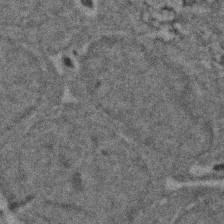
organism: Zebrafish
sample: Zebrafish embryo